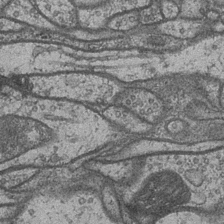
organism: Drosophila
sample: Optic medulla